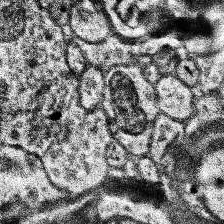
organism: Human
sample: Temporal Lobe